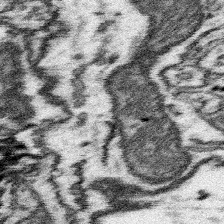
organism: Mouse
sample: Somatosensory cortex neuropil